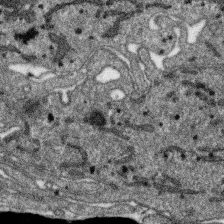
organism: Human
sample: Lung epithelial cells infected with SARS-CoV-2